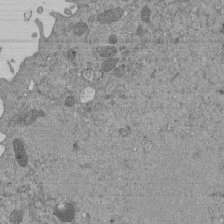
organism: Mouse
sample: ED-1 cell nuclei; centrioles